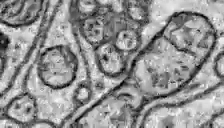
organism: Zebrafish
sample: Brain